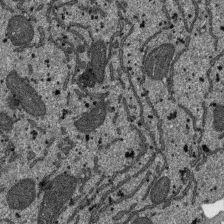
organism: Human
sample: Lung epithelial cells infected with SARS-CoV-2